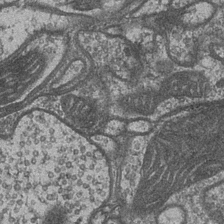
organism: Drosophila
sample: Optic medulla